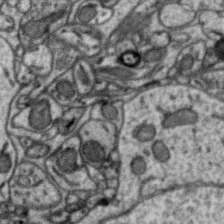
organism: Zebra finch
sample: Brain